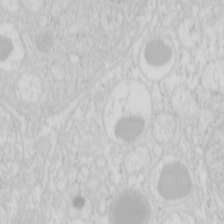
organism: Mouse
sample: Pancreas